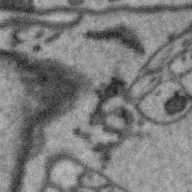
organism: Zebra finch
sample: Brain